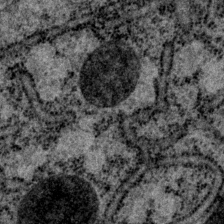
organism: P. pacificus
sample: Pharynx